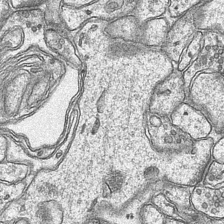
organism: Mouse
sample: CA1 Hippocampus